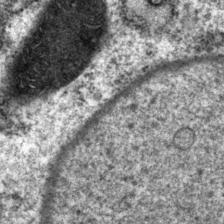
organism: P. pacificus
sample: Pharynx